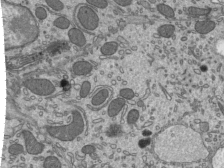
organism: Mouse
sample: Mouse epididymis efferent ductule cilia